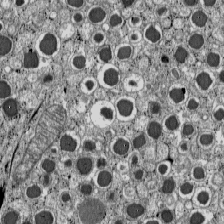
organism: C57BL Mouse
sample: Pancreatic islet